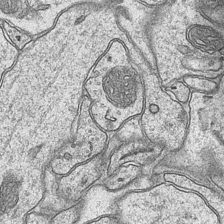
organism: Mouse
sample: CA1 Hippocampus